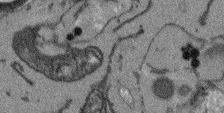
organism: Arabidopsis thaliana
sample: Root tip